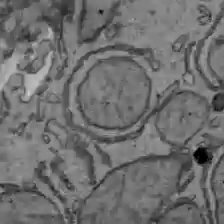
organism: C57BL Mouse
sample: Liver